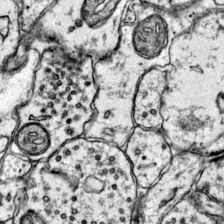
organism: Mouse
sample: Primary visual cortex